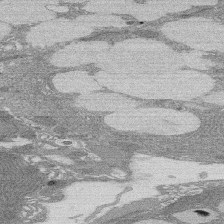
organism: Rat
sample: Salivary granule